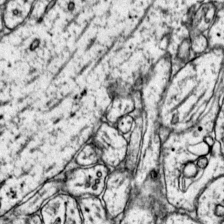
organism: Mouse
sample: Primary visual cortex